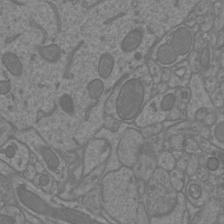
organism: Mouse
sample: Cortical neurons